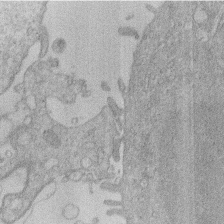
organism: Human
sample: Macrophage cells